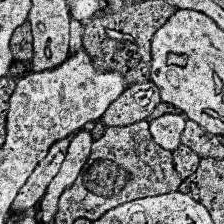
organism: Human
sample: Temporal Lobe